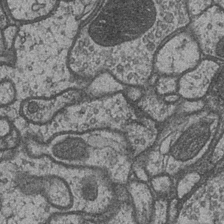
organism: Drosophila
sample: Optic medulla